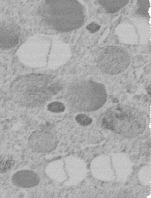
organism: C. elegans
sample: C. elegans embryo early stage